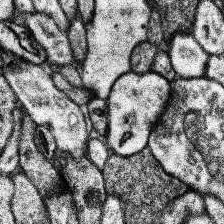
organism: Human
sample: Temporal Lobe